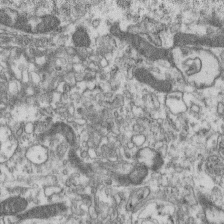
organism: Mouse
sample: Centriole in ependymal cells